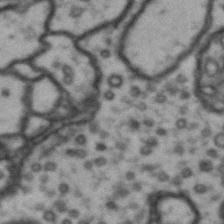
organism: Drosophila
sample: Brain